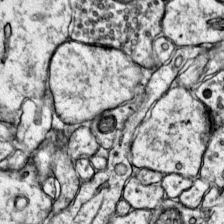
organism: Mouse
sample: Primary visual cortex